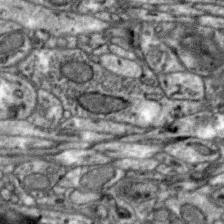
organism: Zebra finch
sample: Brain